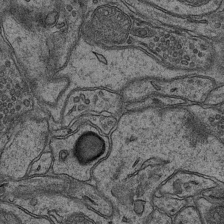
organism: Mouse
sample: CA1 Hippocampus